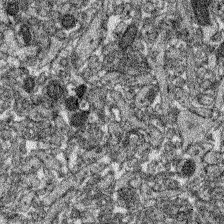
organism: Zebrafish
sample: Larval olfactory bulb